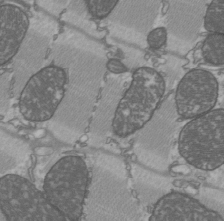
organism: C57BL Mouse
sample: Heart